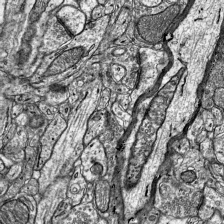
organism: Mouse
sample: Visual Cortex